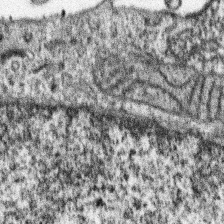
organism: Human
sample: HeLa cells